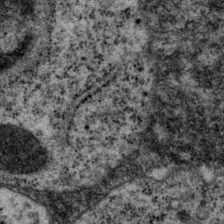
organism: P. pacificus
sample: Pharynx